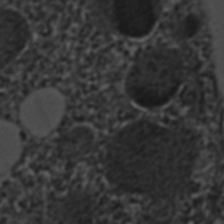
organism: C. elegans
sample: C. elegans embryo